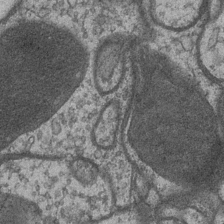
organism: Drosophila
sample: Optic medulla